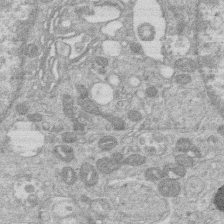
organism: Human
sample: Macrophage cells